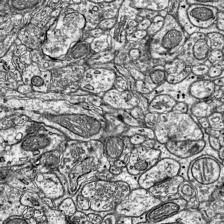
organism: Mouse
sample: Visual Cortex